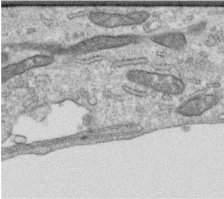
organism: Human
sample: Centriole in RPE cells